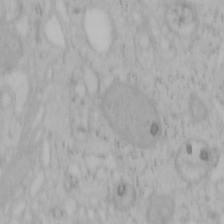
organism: Mouse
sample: OT-I killer T cells with ID8 ovarian cancer cells